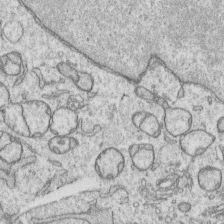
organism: Human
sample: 1205lu cells